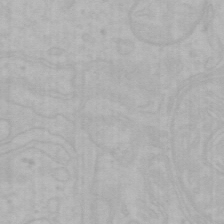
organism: Mouse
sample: Choroid plexus